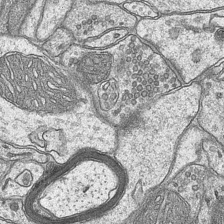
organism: Mouse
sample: CA1 Hippocampus